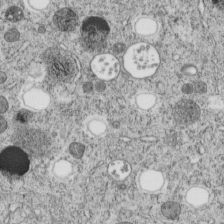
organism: C. elegans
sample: C. elegans embryo early stage